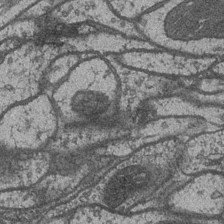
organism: Drosophila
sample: Optic medulla